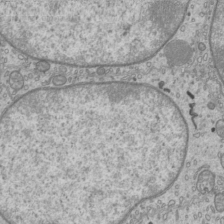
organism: Mouse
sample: Cilia; mouse epididymis